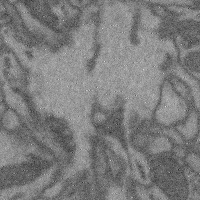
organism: Mouse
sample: Cerebral cortex